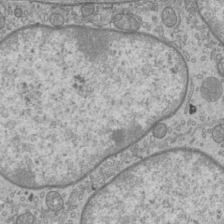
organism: Mouse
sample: Cilia; mouse epididymis